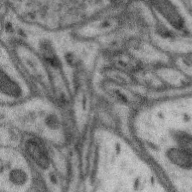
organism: Zebra finch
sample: Brain